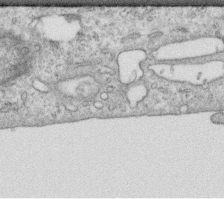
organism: Human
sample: Centriole in RPE cells